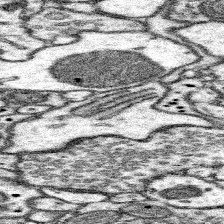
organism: Mouse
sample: Somatosensory cortex neuropil